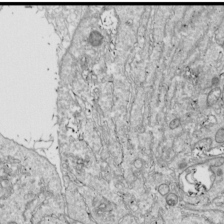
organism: Drosophila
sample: Cell division; meiosis; drosophila spermatocytes